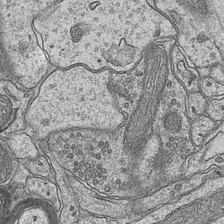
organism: Mouse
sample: CA1 Hippocampus